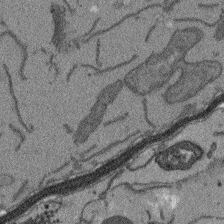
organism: Arabidopsis thaliana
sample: Root tip